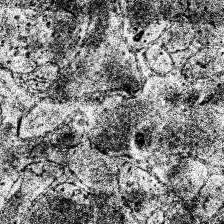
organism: Human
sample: Temporal Lobe